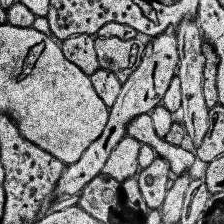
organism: Human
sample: Temporal Lobe